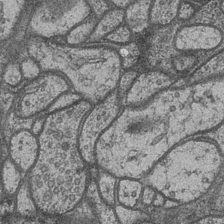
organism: Drosophila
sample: Optic medulla